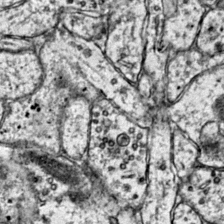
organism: Mouse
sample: Primary visual cortex